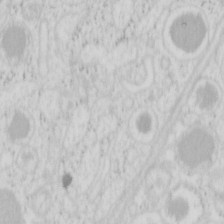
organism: Mouse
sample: Pancreas